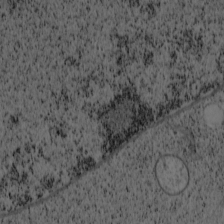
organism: African green monkey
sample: COS-7 cells